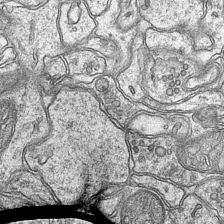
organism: Mouse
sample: CA1 Hippocampus